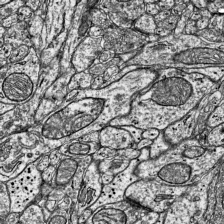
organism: Mouse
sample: Visual Cortex